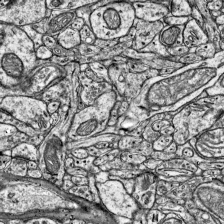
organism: Mouse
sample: Visual Cortex